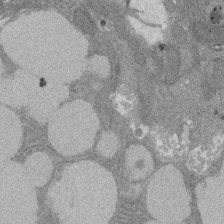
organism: Rat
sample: Salivary granule